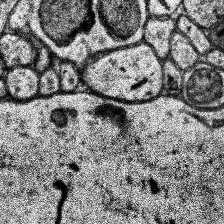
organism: Human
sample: Temporal Lobe